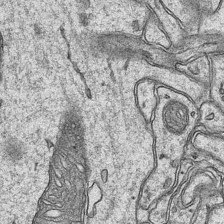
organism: Mouse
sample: CA1 Hippocampus